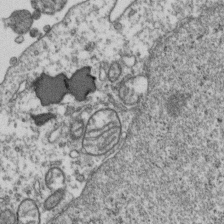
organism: Human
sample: Activated Jurkat CD4+ T cells